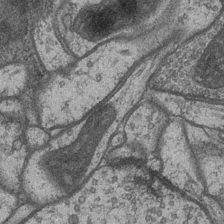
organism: Drosophila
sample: Optic medulla